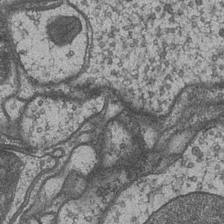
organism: Drosophila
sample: Optic medulla